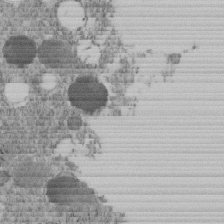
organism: C. elegans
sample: C. elegans embryo early stage